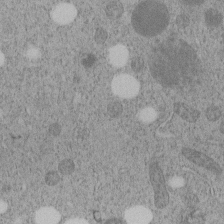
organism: C. elegans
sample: C. elegans embryo early stage